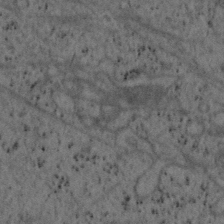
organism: Human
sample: HeLa cells